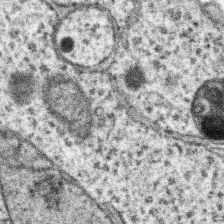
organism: Human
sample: HeLa cells